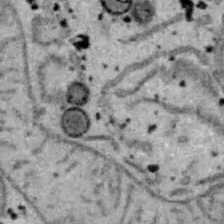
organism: Mouse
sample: Liver from an obese (ob/ob) mouse